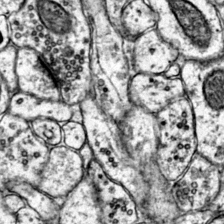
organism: Mouse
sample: Primary visual cortex